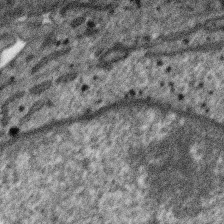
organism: Human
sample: Lung epithelial cells infected with SARS-CoV-2